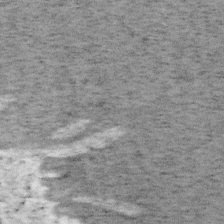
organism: Mouse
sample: OT-I killer T cells with ID8 ovarian cancer cells